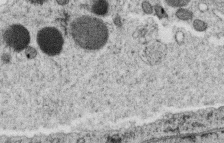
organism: C. elegans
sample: C. elegans oocyte; sperm cells